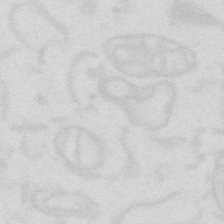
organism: Human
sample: HeLa cells